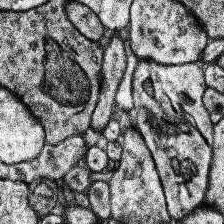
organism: Human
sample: Temporal Lobe